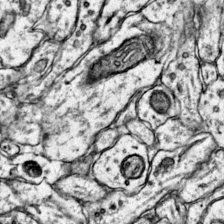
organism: Mouse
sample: Primary visual cortex